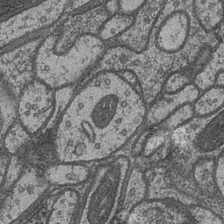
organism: Drosophila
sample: Optic medulla